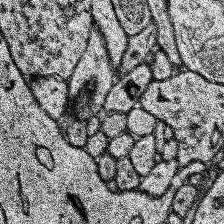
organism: Human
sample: Temporal Lobe